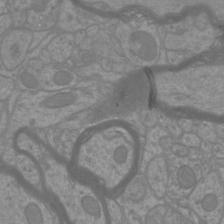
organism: Mouse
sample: Cortical neurons